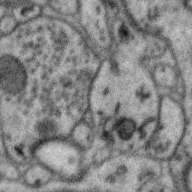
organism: Zebra finch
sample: Brain